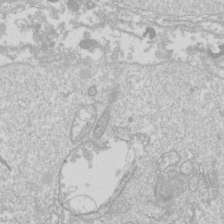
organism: Drosophila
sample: Cell division; meiosis; drosophila spermatocytes